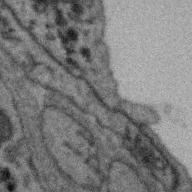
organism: Zebra finch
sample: Brain